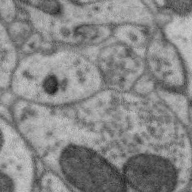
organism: Zebra finch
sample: Brain